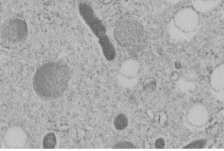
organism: C. elegans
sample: C. elegans embryo early stage